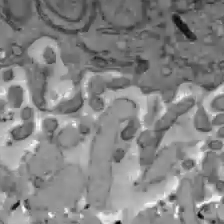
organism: C57BL Mouse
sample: Liver